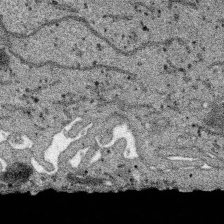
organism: Human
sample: Lung epithelial cells, uninfected (mock) control